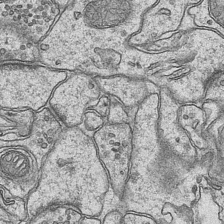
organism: Mouse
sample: CA1 Hippocampus